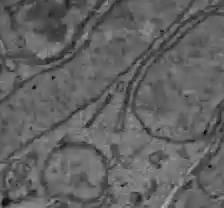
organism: C57BL Mouse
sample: Liver